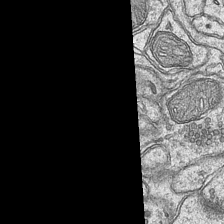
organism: Mouse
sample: CA1 Hippocampus